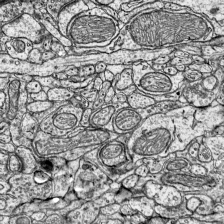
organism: Mouse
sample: Visual Cortex